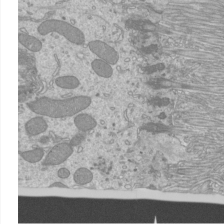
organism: Mouse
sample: Cilia; mouse epididymis